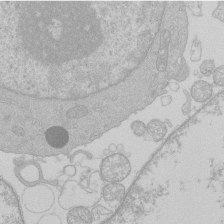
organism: Human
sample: Macrophage cells